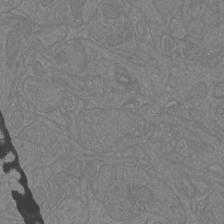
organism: Mouse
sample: Cortical neurons